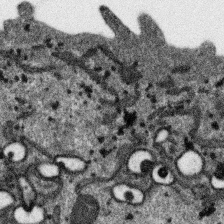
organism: Human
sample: Lung epithelial cells infected with SARS-CoV-2